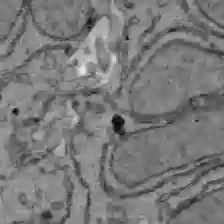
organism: C57BL Mouse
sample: Liver